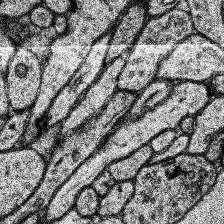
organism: Human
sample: Temporal Lobe